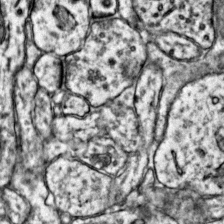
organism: Mouse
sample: Primary visual cortex